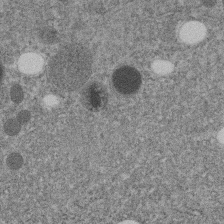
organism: C. elegans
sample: C. elegans embryo early stage